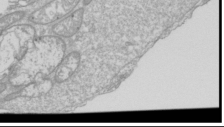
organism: Drosophila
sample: Cell division; meiosis; drosophila spermatocytes